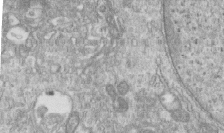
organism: Human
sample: Centriole in RPE cells